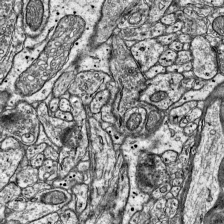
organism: Mouse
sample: Visual Cortex